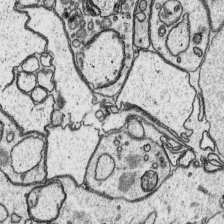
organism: Platynereis dumerilii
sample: Parapodia